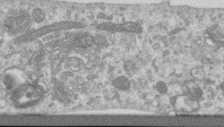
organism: Human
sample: Centriole in RPE cells